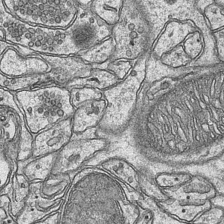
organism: Mouse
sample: CA1 Hippocampus